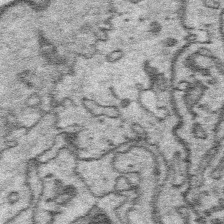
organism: Platynereis dumerilii